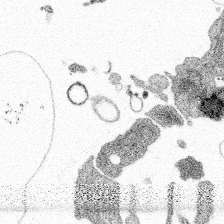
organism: Spongilla lacustris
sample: Multiple